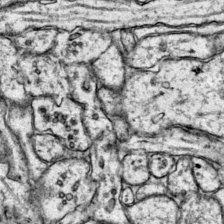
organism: Mouse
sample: Primary visual cortex